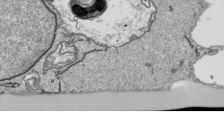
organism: Human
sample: Mitochondria in HCT116 cells